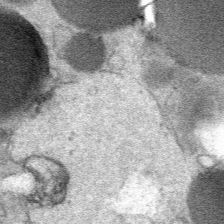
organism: Mouse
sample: Mouse Salivary gland